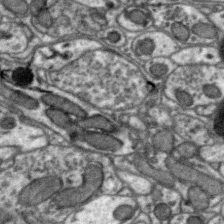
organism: Zebra finch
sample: Brain